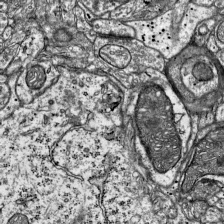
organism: Mouse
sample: Visual Cortex